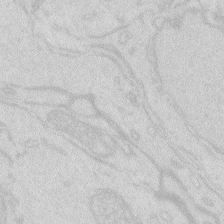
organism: Zebrafish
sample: Macrophage